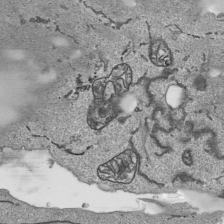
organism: Human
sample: Mitochondria in HCT116 cells